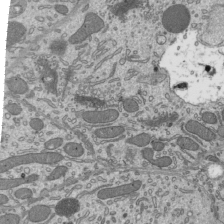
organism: Mouse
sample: Mouse epididymis efferent ductule cilia